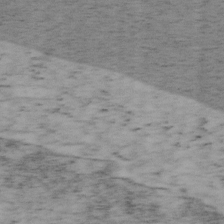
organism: Mouse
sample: OT-I killer T cells with ID8 ovarian cancer cells